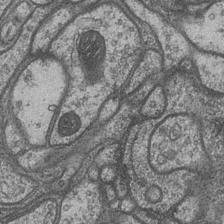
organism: Drosophila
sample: Optic medulla